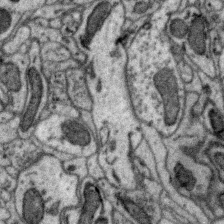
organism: Zebra finch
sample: Brain